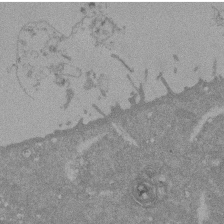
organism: Mouse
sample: ED-1 cell nuclei; centrioles